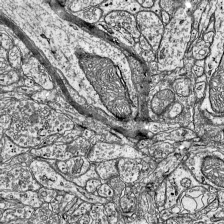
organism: Mouse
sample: Visual Cortex